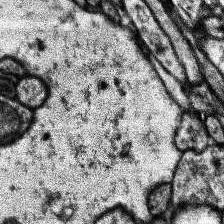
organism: Human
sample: Temporal Lobe